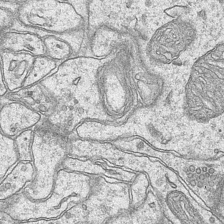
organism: Mouse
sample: CA1 Hippocampus